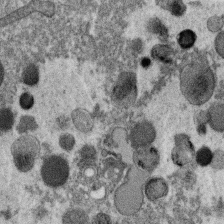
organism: C. elegans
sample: C. elegans oocyte; sperm cells